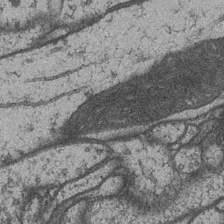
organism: Drosophila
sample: Optic medulla